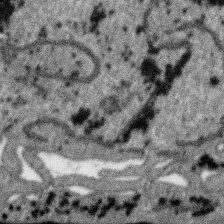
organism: Human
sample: Lung epithelial cells infected with SARS-CoV-2